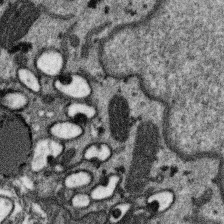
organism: Human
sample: Lung epithelial cells infected with SARS-CoV-2